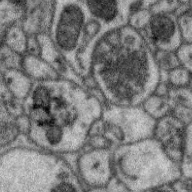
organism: Zebra finch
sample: Brain